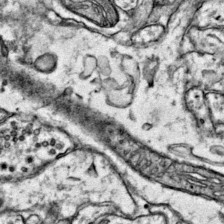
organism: Mouse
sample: Primary visual cortex